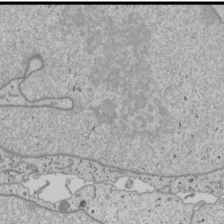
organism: Human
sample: Mitochondria in U2OS cells